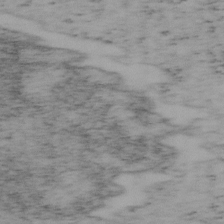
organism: Mouse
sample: OT-I killer T cells with ID8 ovarian cancer cells